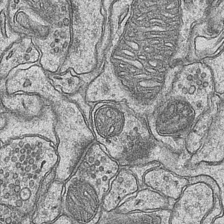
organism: Mouse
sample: CA1 Hippocampus